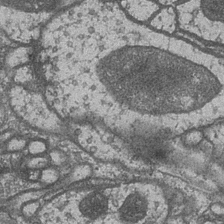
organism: Drosophila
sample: Optic medulla